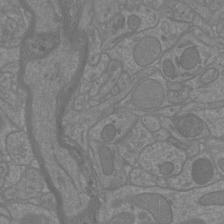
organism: Mouse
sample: Cortical neurons